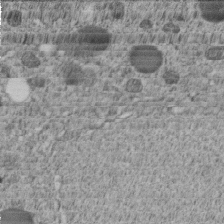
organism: C. elegans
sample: C. elegans embryo early stage